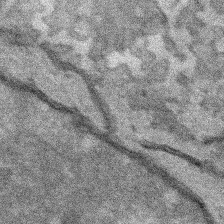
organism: Human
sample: Mitochondria in HCT116 cells